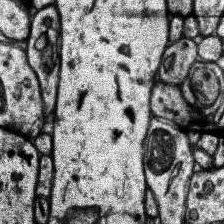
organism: Human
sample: Temporal Lobe